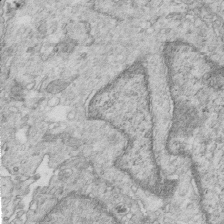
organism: Mouse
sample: Multiciliated cells